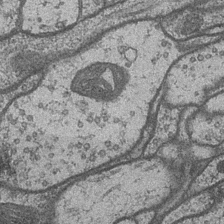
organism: Drosophila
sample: Optic medulla